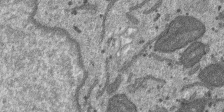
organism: Human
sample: Lung epithelial cells infected with SARS-CoV-2